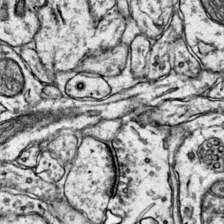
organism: Mouse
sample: Primary visual cortex